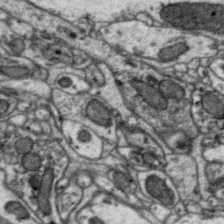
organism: Zebra finch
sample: Brain